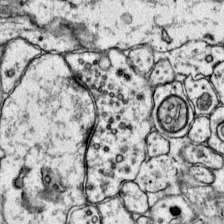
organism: Mouse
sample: Primary visual cortex